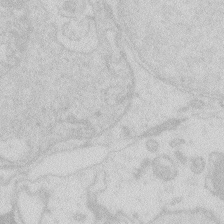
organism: Zebrafish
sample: Macrophage